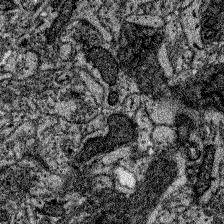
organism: Zebrafish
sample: Larval olfactory bulb